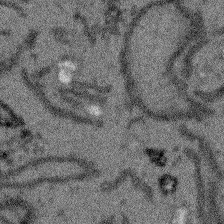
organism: Arabidopsis thaliana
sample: Root tip